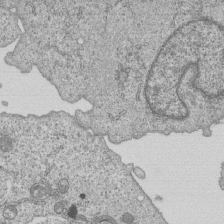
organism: Human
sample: MDA-MB-231 cells